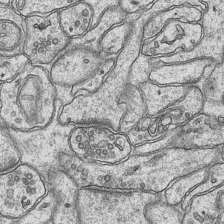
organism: Mouse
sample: CA1 Hippocampus